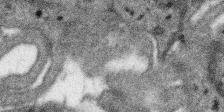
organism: Human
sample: Lung epithelial cells infected with SARS-CoV-2